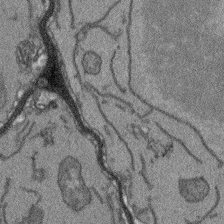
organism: Arabidopsis thaliana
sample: Root tip